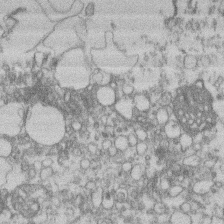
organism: Mouse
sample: T cell stromal cell synapse